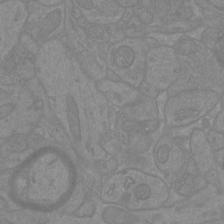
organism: Mouse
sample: Cortical neurons